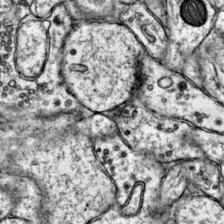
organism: Mouse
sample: Primary visual cortex